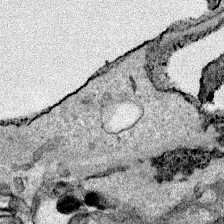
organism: Human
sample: Mitochondria in HCT116 cells